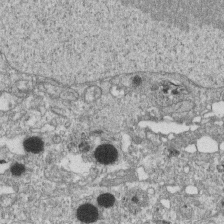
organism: Human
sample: HeLa cell HIV synapse